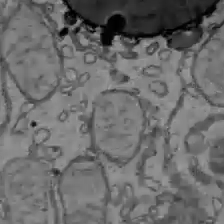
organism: C57BL Mouse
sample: Liver